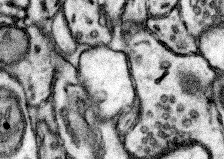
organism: Mouse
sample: Somatosensory cortex neuropil